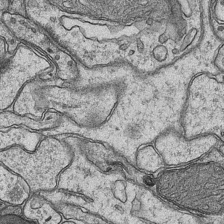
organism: Mouse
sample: CA1 Hippocampus